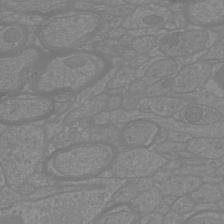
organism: Mouse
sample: Cortical neurons